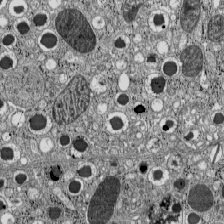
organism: C57BL Mouse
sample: Pancreatic islet